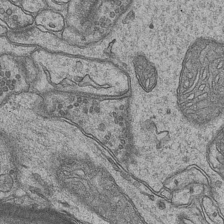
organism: Mouse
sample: CA1 Hippocampus